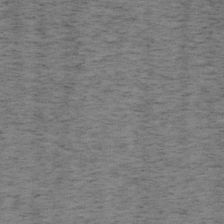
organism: Mouse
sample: OT-I killer T cells with ID8 ovarian cancer cells